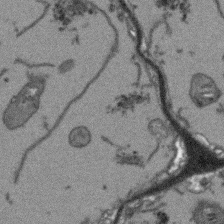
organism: Arabidopsis thaliana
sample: Root tip